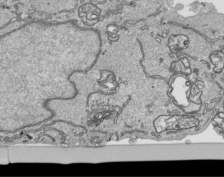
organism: Human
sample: Mitochondria in HCT116 cells